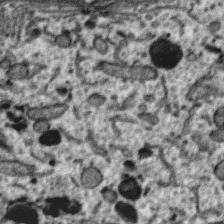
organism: Zebra finch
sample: Brain